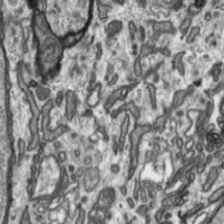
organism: Toxoplasma gondii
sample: Parasites in a vacuole inside a host cell